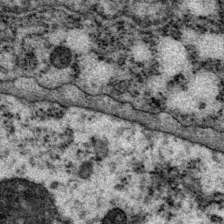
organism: P. pacificus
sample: Pharynx